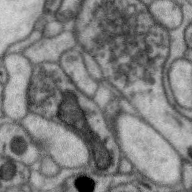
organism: Zebra finch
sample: Brain